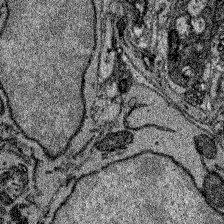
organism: Zebrafish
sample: Larval olfactory bulb